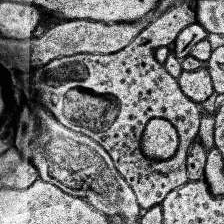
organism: Human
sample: Temporal Lobe